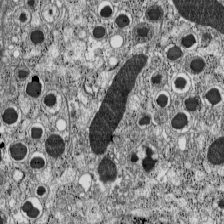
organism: C57BL Mouse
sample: Pancreatic islet